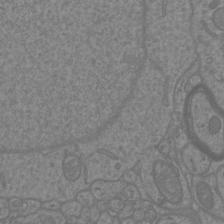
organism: Mouse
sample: Cortical neurons